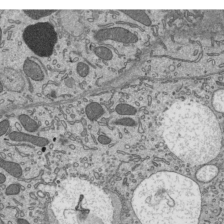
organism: Mouse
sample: Mouse epididymis efferent ductule cilia